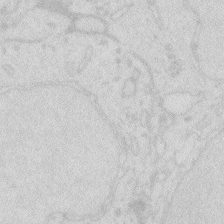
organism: Zebrafish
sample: Macrophage